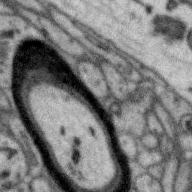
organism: Zebra finch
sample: Brain